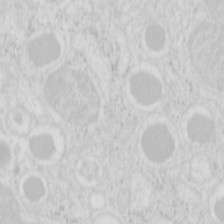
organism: Mouse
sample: Pancreas